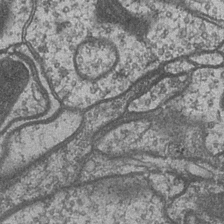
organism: Drosophila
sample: Optic medulla